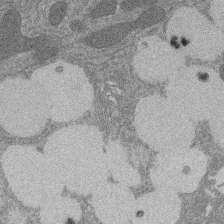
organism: Rat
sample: Salivary granule